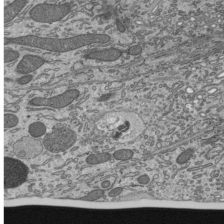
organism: Mouse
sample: Mouse epididymis efferent ductule cilia